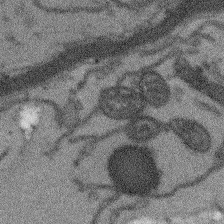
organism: Arabidopsis thaliana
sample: Root tip